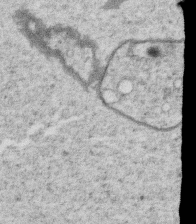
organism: C. elegans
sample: C. elegans oocyte; sperm cells